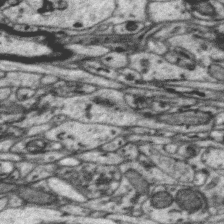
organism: Zebra finch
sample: Brain